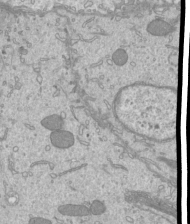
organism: Mouse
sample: Cilia; mouse epididymis